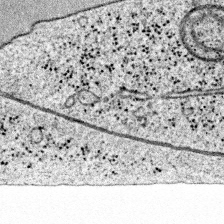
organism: Human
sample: HeLa cells